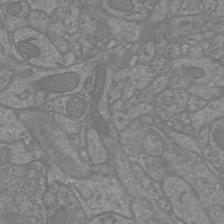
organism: Mouse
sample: Cortical neurons